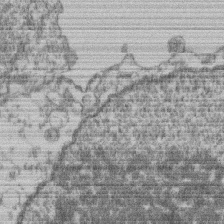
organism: Mouse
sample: T cell stromal cell synapse